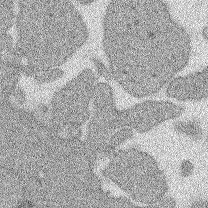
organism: Human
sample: HeLa cells